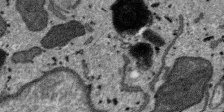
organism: Human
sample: Lung epithelial cells, uninfected (mock) control